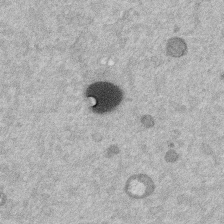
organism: Mouse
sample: Dividing mouse embryo 1 cell stage